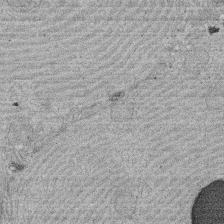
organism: Rat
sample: Salivary granule